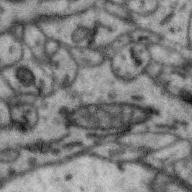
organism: Zebra finch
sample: Brain